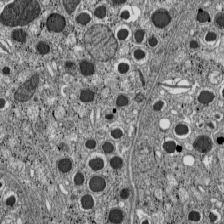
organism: C57BL Mouse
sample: Pancreatic islet